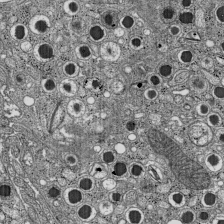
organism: C57BL Mouse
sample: Pancreatic islet